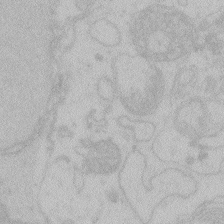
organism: Zebrafish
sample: Macrophage infected with Toxoplasma gondii